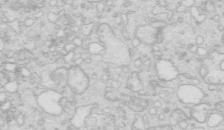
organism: Mouse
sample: Multiciliated cells